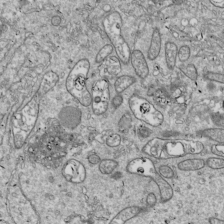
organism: Drosophila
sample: Cell division; meiosis; drosophila spermatocytes